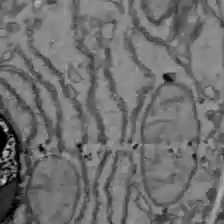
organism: C57BL Mouse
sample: Liver